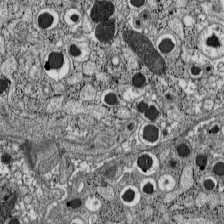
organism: C57BL Mouse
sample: Pancreatic islet